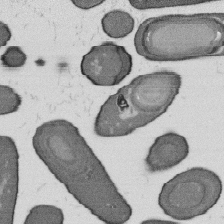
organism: B. subtilis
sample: Bacterial spore